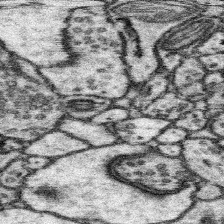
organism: Mouse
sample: Somatosensory cortex neuropil